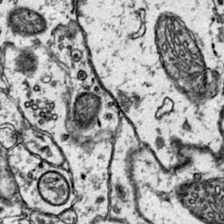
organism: Mouse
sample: Primary visual cortex